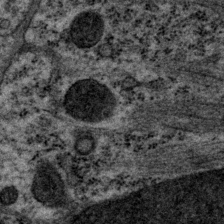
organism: P. pacificus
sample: Pharynx